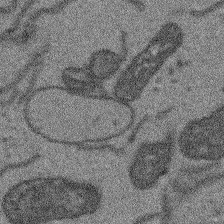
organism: Arabidopsis thaliana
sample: Root tip